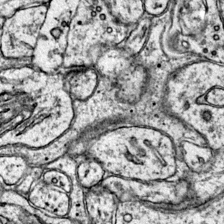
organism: Mouse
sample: Primary visual cortex